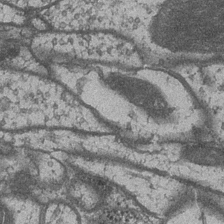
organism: Drosophila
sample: Optic medulla